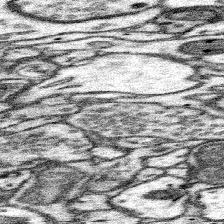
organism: Mouse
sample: Somatosensory cortex neuropil